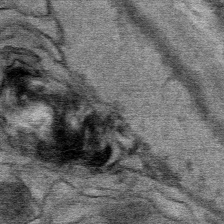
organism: Mouse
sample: Mouse Salivary gland